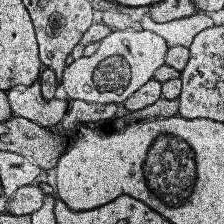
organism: Human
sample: Temporal Lobe